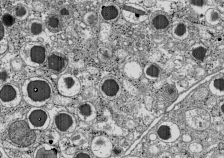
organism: C57BL Mouse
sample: Pancreatic islet